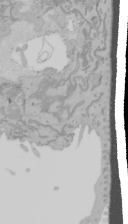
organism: Mouse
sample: Cancer cell death in ED-1 cells